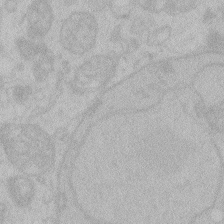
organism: Zebrafish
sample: Macrophage infected with Toxoplasma gondii